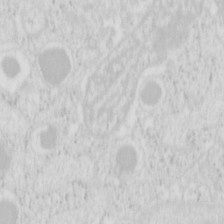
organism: Mouse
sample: Pancreas